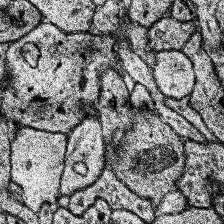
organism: Human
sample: Temporal Lobe